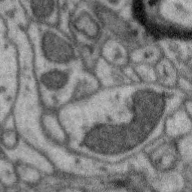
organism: Zebra finch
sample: Brain